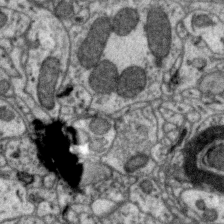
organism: Zebra finch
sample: Brain